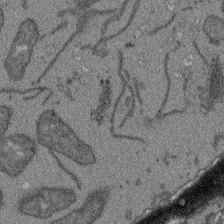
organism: Arabidopsis thaliana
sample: Root tip